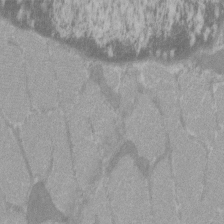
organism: C57BL Mouse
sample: Tibialis anterior muscle cell